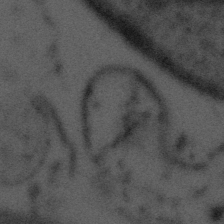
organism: Tuwongella immobilis